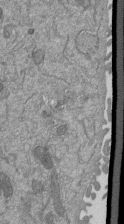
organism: Mouse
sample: ED-1 cell nuclei; centrioles